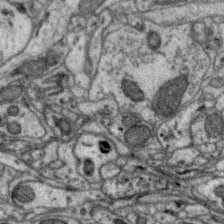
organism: Zebra finch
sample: Brain